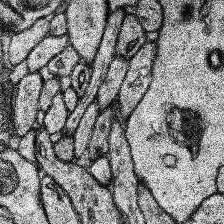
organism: Human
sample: Temporal Lobe